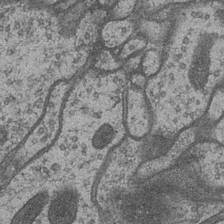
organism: Drosophila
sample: Optic medulla